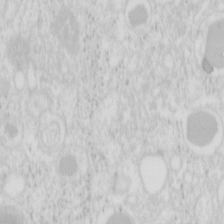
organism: Mouse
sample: Pancreas